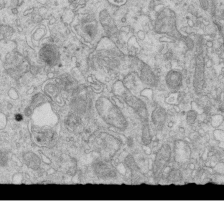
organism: Mouse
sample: Multiciliated cells